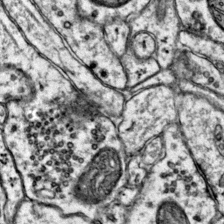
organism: Mouse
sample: Primary visual cortex